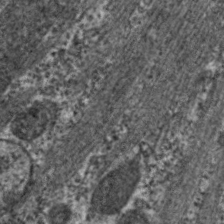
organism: C. elegans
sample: Pharynx